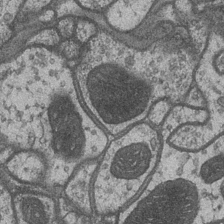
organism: Drosophila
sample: Optic medulla